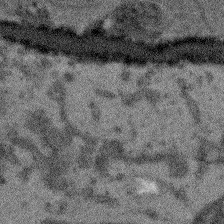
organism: Arabidopsis thaliana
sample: Root tip